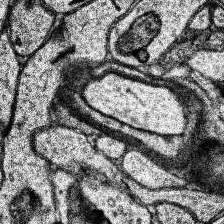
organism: Human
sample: Temporal Lobe